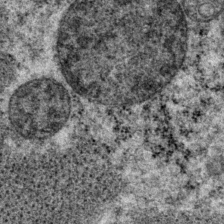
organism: P. pacificus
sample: Pharynx